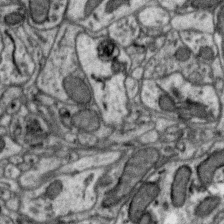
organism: Zebra finch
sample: Brain